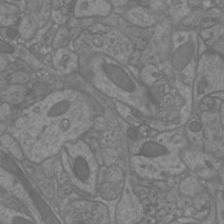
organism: Mouse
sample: Cortical neurons